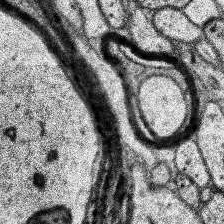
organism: Human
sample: Temporal Lobe